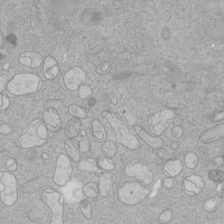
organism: Human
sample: Mitochondria in HCT116 cells